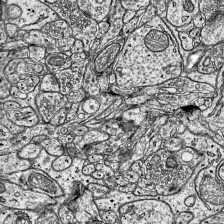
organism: Mouse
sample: Visual Cortex